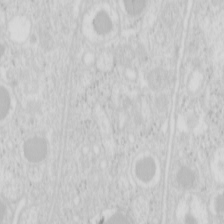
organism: Mouse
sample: Pancreas